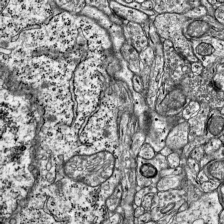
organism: Mouse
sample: Visual Cortex